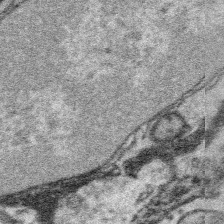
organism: Platynereis dumerilii